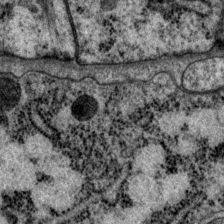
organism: P. pacificus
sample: Pharynx